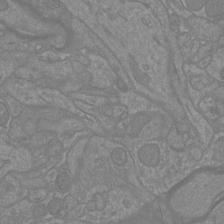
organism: Mouse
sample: Cortical neurons